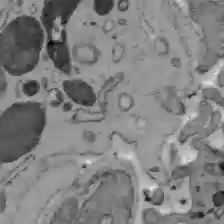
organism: C57BL Mouse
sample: Liver